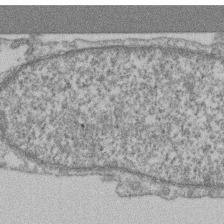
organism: Mouse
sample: T cell stromal cell synapse